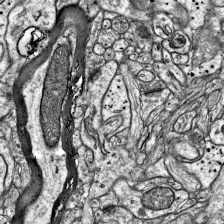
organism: Mouse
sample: Visual Cortex